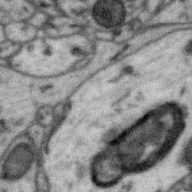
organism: Zebra finch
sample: Brain